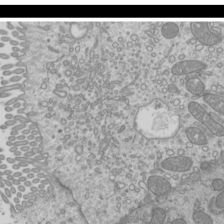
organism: Mouse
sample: Cilia; mouse epididymis